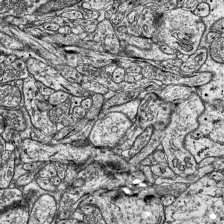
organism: Mouse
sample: Visual Cortex